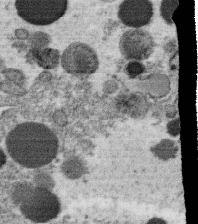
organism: C. elegans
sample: C. elegans oocyte; sperm cells